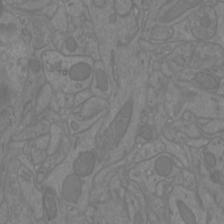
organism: Mouse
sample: Cortical neurons